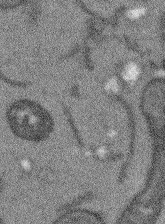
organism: Arabidopsis thaliana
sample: Root tip